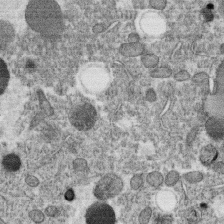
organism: C. elegans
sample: C. elegans oocyte; sperm cells